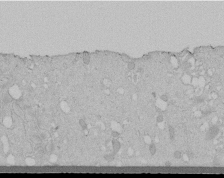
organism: Human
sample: Melanocyte Keratinocyte synapse skin construct